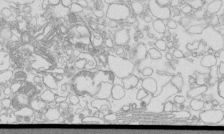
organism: Mouse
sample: Macrophages